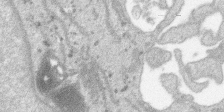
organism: Human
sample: Lung epithelial cells infected with SARS-CoV-2